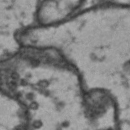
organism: Drosophila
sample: Brain